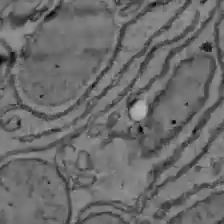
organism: C57BL Mouse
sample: Liver